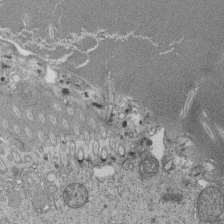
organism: Tetrahymena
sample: Cilia in tetrahymena